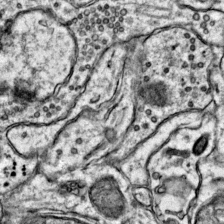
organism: Mouse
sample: Primary visual cortex